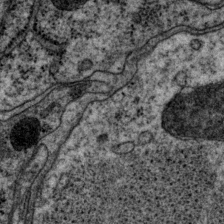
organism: P. pacificus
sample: Pharynx